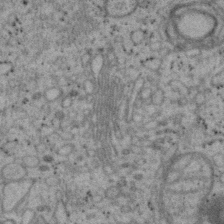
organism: Human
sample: HeLa cells